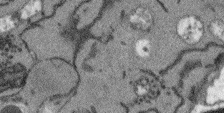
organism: Arabidopsis thaliana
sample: Root tip